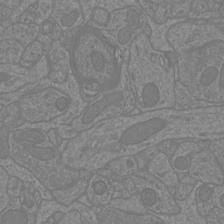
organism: Mouse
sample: Cortical neurons